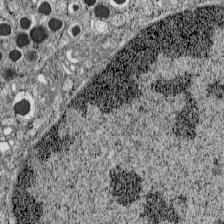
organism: C57BL Mouse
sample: Pancreatic islet